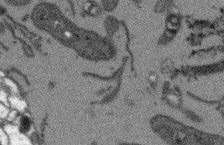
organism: Arabidopsis thaliana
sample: Root tip